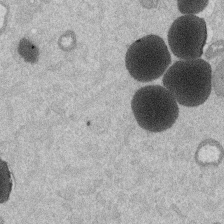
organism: Mouse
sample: Dividing mouse embryo 1 cell stage